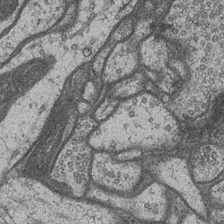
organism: Drosophila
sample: Optic medulla